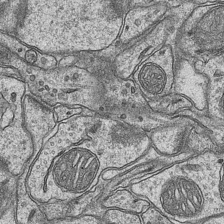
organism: Mouse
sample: CA1 Hippocampus